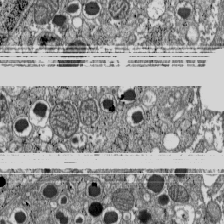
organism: C57BL Mouse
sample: Pancreatic islet